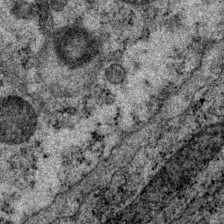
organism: P. pacificus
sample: Pharynx